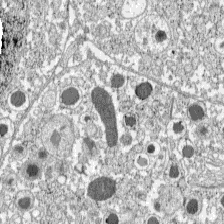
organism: C57BL Mouse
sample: Pancreatic islet